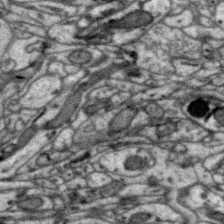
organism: Zebra finch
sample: Brain